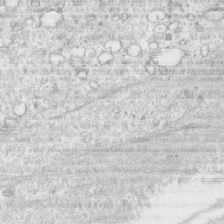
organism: Human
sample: CRL-1474